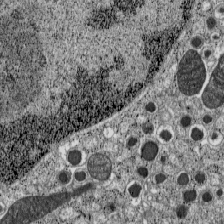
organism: C57BL Mouse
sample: Pancreatic islet